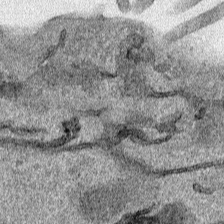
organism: Human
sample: Mitochondria in HCT116 cells